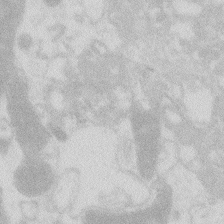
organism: Zebrafish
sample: Macrophage